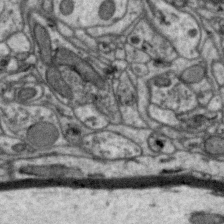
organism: Zebra finch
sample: Brain